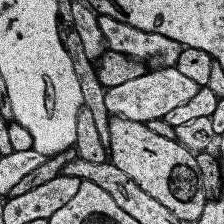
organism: Human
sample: Temporal Lobe